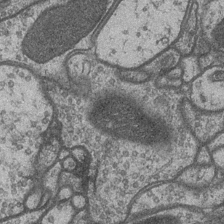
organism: Drosophila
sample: Optic medulla